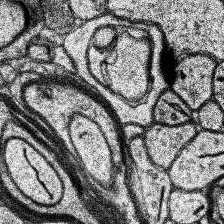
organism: Human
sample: Temporal Lobe